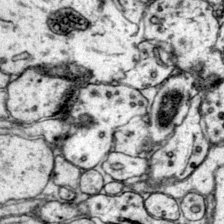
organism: Mouse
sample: Primary visual cortex